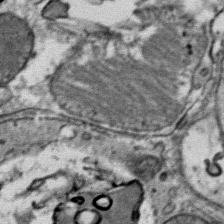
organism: Mouse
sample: Mouse Salivary gland